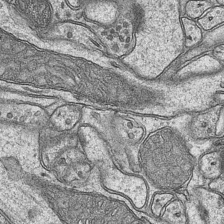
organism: Mouse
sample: CA1 Hippocampus